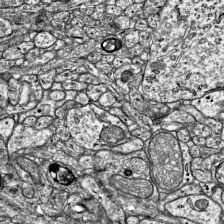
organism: Mouse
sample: Visual Cortex